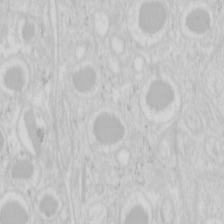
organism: Mouse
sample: Pancreas